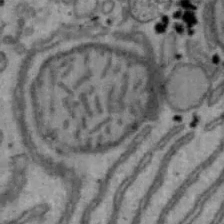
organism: Mouse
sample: Liver